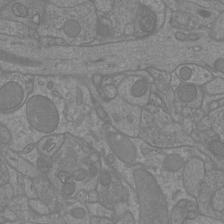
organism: Mouse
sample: Cortical neurons